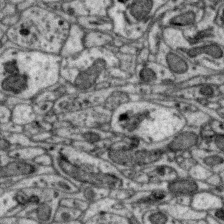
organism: Zebra finch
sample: Brain